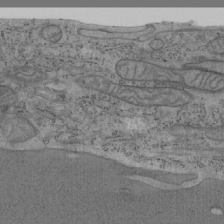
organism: Human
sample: HeLa cells